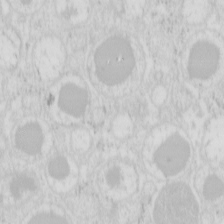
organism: Mouse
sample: Pancreas